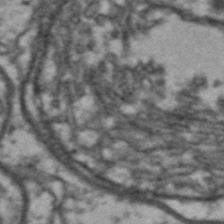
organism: Drosophila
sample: Brain